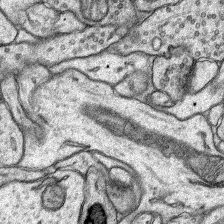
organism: Rat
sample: Hippocampus